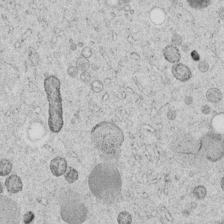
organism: C. elegans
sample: C. elegans embryo early stage